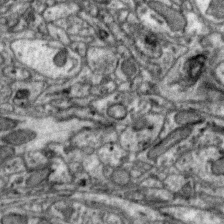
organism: Zebra finch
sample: Brain